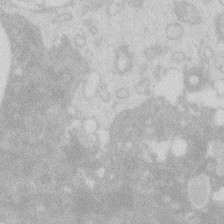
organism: Zebrafish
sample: Macrophage